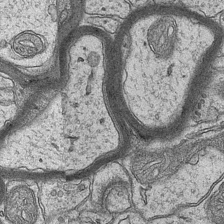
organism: Mouse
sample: CA1 Hippocampus